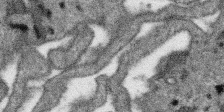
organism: Human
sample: Lung epithelial cells infected with SARS-CoV-2